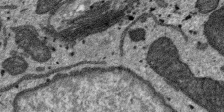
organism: Human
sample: Lung epithelial cells, uninfected (mock) control